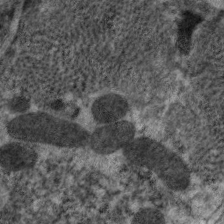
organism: C. elegans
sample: Pharynx